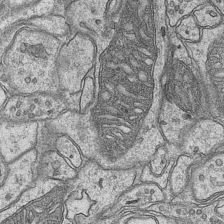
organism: Mouse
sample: CA1 Hippocampus